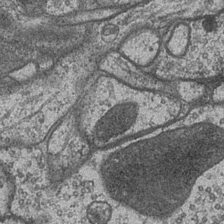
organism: Drosophila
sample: Optic medulla